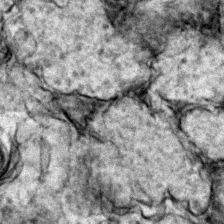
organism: Zebrafish